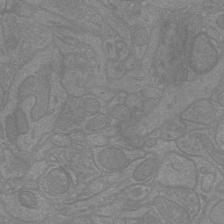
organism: Mouse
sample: Cortical neurons